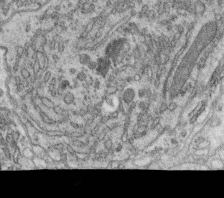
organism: C. elegans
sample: C. elegans oocyte; sperm cells